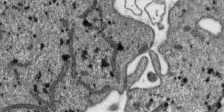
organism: Human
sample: Lung epithelial cells infected with SARS-CoV-2